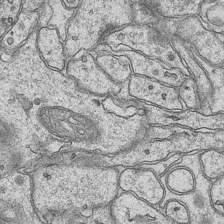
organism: Mouse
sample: CA1 Hippocampus